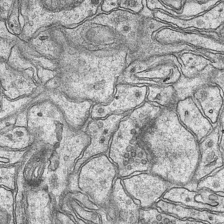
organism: Mouse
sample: CA1 Hippocampus